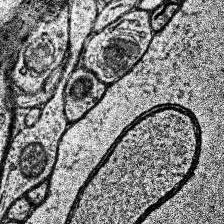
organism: Human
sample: Temporal Lobe